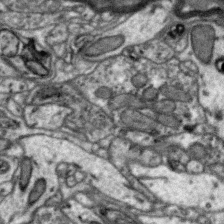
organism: Zebra finch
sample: Brain